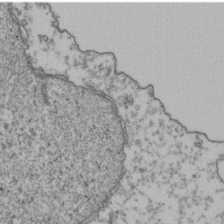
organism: Human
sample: Activated Jurkat CD4+ T cells